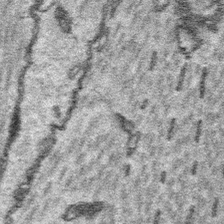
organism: Platynereis dumerilii